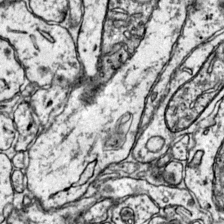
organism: Mouse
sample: Primary visual cortex